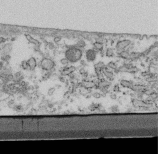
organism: Mouse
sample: Cilia; retinal pigment epithelium